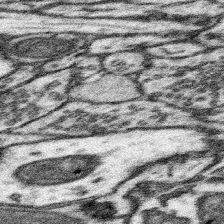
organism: Mouse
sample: Somatosensory cortex neuropil